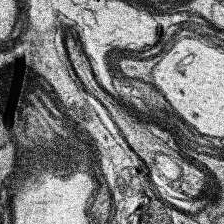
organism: Human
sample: Temporal Lobe